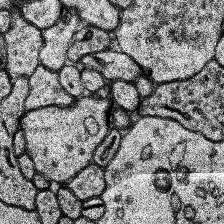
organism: Human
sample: Temporal Lobe